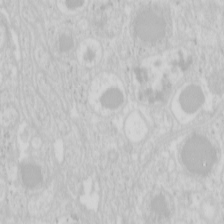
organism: Mouse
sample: Pancreas